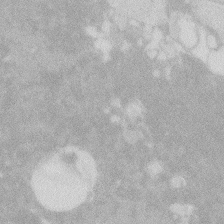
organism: Zebrafish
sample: Macrophage